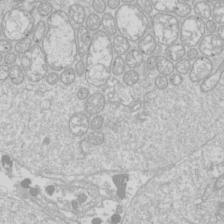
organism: Drosophila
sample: Cell division; meiosis; drosophila spermatocytes